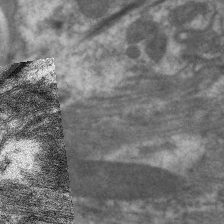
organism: C. elegans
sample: Pharynx